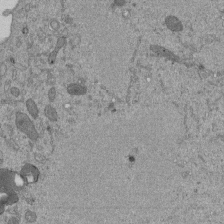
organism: Mouse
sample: ED-1 cell nuclei; centrioles